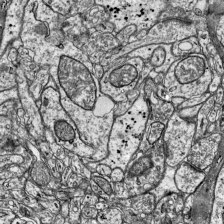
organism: Mouse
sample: Visual Cortex